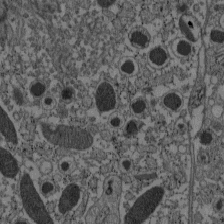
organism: C57BL Mouse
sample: Pancreatic islet